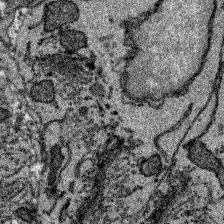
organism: Zebrafish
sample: Larval olfactory bulb